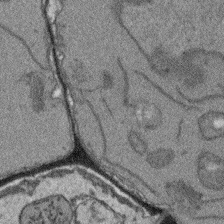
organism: Arabidopsis thaliana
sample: Root tip